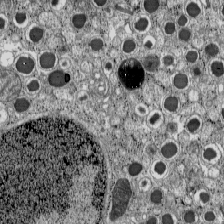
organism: C57BL Mouse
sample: Pancreatic islet